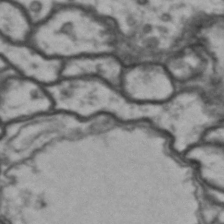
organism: Drosophila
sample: Brain